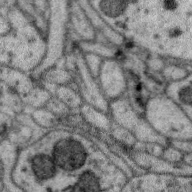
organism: Zebra finch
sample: Brain